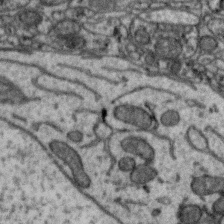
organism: Zebra finch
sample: Brain